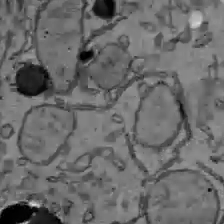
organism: C57BL Mouse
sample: Liver